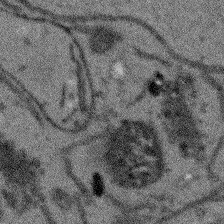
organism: Arabidopsis thaliana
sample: Root tip